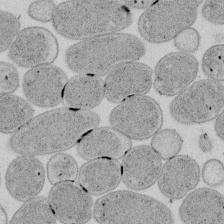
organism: E. coli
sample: Bacterial nucleoid